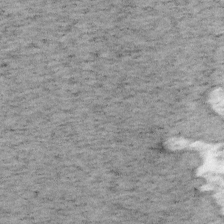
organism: Mouse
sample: OT-I killer T cells with ID8 ovarian cancer cells